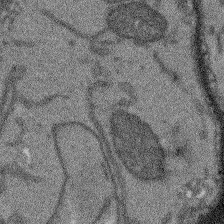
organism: Arabidopsis thaliana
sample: Root tip